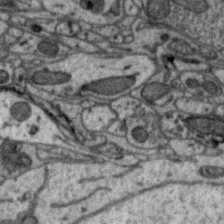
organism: Zebra finch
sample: Brain